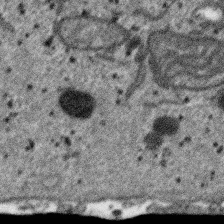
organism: Human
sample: Lung epithelial cells infected with SARS-CoV-2